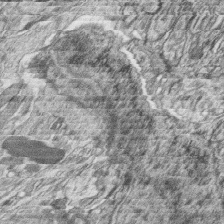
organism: Zebrafish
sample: synaptic ribbons in rod cells and cone cells